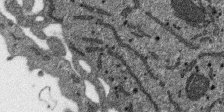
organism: Human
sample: Lung epithelial cells infected with SARS-CoV-2